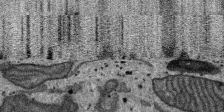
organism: Human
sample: Lung epithelial cells, uninfected (mock) control